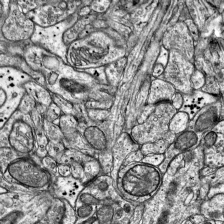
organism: Mouse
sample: Visual Cortex